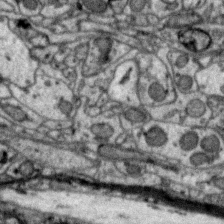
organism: Zebra finch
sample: Brain